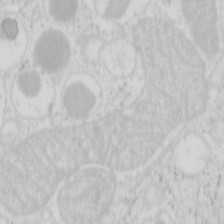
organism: Mouse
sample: Pancreas